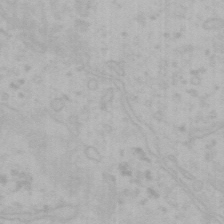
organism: Mouse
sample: Choroid plexus